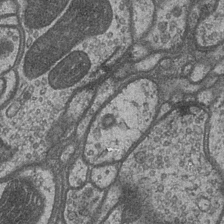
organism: Drosophila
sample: Optic medulla